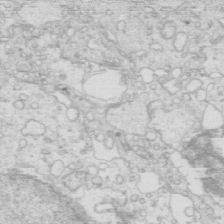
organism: Mouse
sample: Multiciliated cells